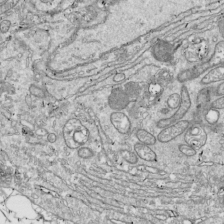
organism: Drosophila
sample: Cell division; meiosis; drosophila spermatocytes